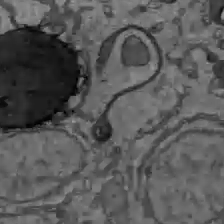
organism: C57BL Mouse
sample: Liver